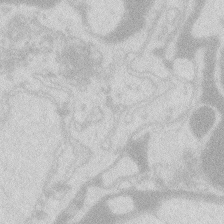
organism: Zebrafish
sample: Macrophage